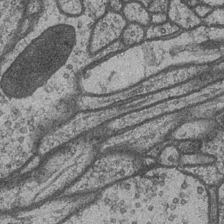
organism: Drosophila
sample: Optic medulla